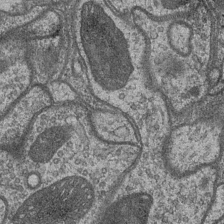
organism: Drosophila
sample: Optic medulla